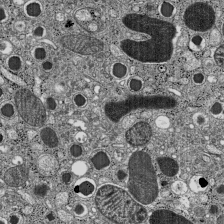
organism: C57BL Mouse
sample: Pancreatic islet